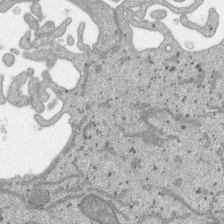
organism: Human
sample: Lung epithelial cells infected with SARS-CoV-2